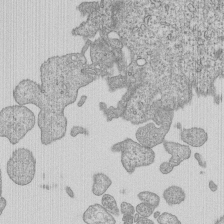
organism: Human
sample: MDA-MB-231 cells